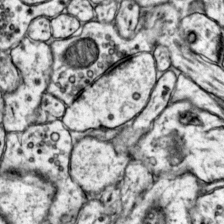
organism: Mouse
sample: Primary visual cortex